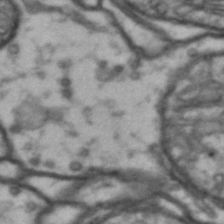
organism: Drosophila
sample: Brain